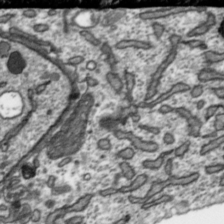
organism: Toxoplasma gondii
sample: Parasites in a vacuole inside a host cell